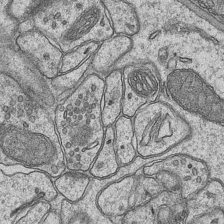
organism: Mouse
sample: CA1 Hippocampus